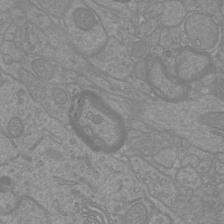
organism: Mouse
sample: Cortical neurons